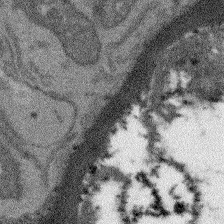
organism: Arabidopsis thaliana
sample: Root tip